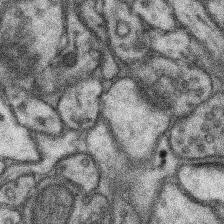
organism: Mouse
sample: Somatosensory cortex neuropil